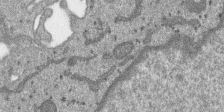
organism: Human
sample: Lung epithelial cells infected with SARS-CoV-2